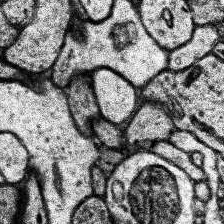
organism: Human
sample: Temporal Lobe